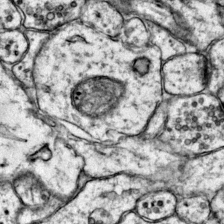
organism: Mouse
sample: Primary visual cortex